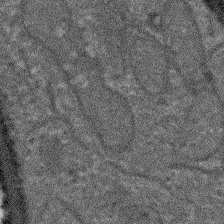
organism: Arabidopsis thaliana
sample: Root tip